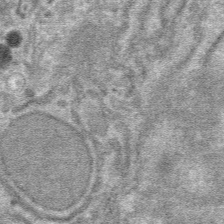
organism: Mouse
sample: Mouse hepatocytes